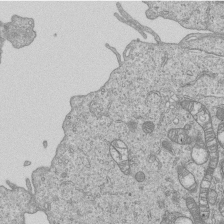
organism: Human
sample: MDA-MB-231 cells